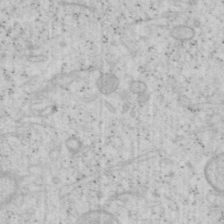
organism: Human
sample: HeLa cells